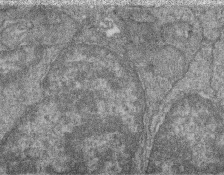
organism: Zebrafish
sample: Cilia; retinal pigment epithelium